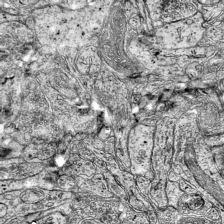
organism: Mouse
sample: Visual Cortex